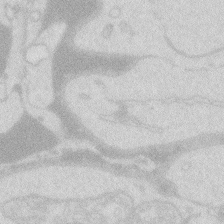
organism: Zebrafish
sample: Macrophage